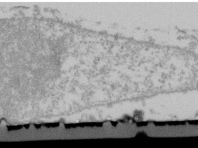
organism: Human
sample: U2-OS cells